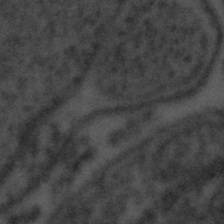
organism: Tuwongella immobilis